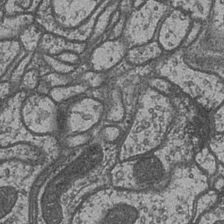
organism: Drosophila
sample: Optic medulla